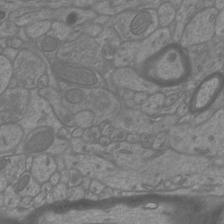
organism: Mouse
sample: Cortical neurons